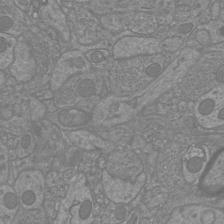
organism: Mouse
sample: Cortical neurons